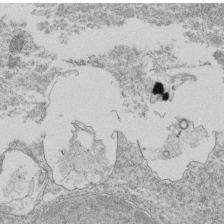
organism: Tetrahymena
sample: Cilia in tetrahymena